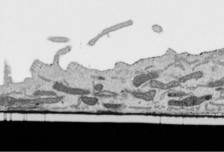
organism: Human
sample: Mitochondria in HCT116 cells